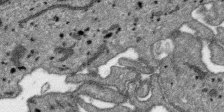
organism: Human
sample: Lung epithelial cells, uninfected (mock) control